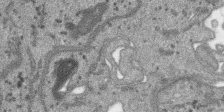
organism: Human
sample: Lung epithelial cells infected with SARS-CoV-2